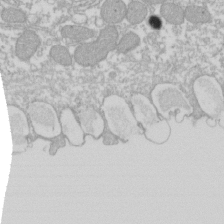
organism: Xenopus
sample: Cilia; centrioles in frog embryo cells